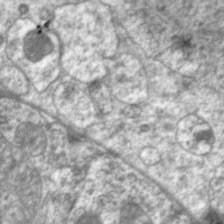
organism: C. elegans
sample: Pharynx